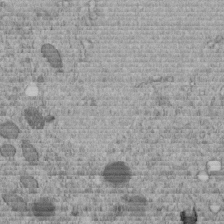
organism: C. elegans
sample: C. elegans embryo early stage